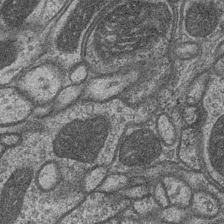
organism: Drosophila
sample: Optic medulla